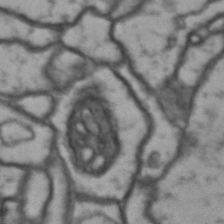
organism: Drosophila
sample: Brain